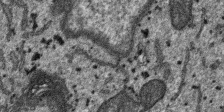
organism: Human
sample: Lung epithelial cells infected with SARS-CoV-2